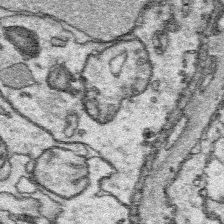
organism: Platynereis dumerilii